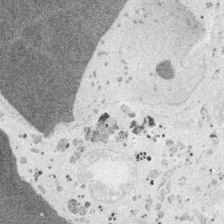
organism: Embia sp.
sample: Silk gland